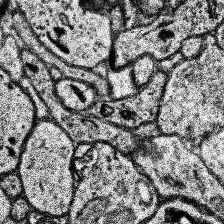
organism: Human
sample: Temporal Lobe